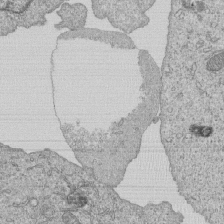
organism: Human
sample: MDA-MB-231 cells